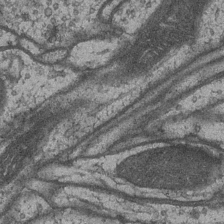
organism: Drosophila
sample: Optic medulla